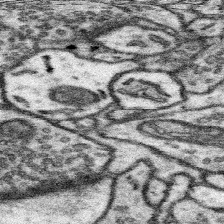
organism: Mouse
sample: Somatosensory cortex neuropil